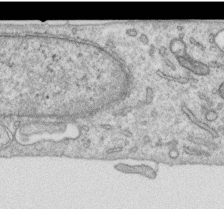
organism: Human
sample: Centriole in RPE cells